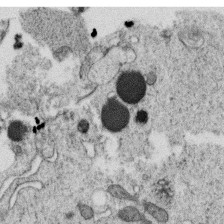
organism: C. elegans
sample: C. elegans oocyte; sperm cells